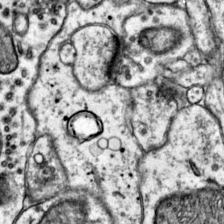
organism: Mouse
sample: Primary visual cortex